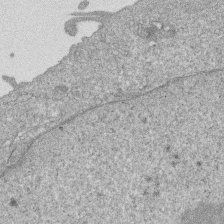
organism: Human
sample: HeLa cell HIV synapse